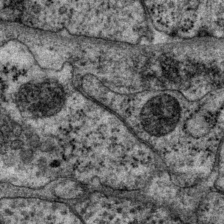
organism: P. pacificus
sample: Pharynx